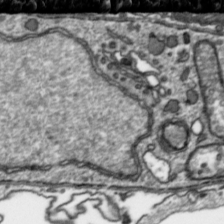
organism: Toxoplasma gondii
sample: Parasites in a vacuole inside a host cell